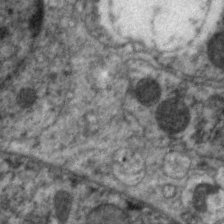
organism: C. elegans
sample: Pharynx